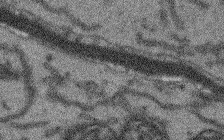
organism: Arabidopsis thaliana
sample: Root tip